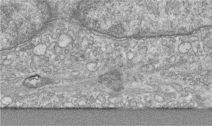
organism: Human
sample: Centriole in RPE cells